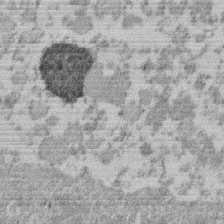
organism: Mouse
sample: Dividing mouse embryo 1 cell stage